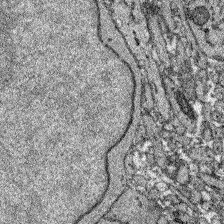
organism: Zebrafish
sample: Larval olfactory bulb